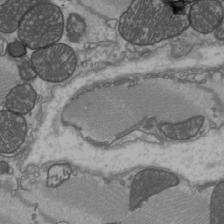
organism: C57BL Mouse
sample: Heart